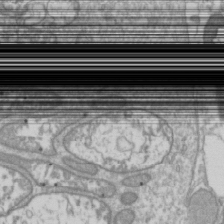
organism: Drosophila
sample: Cell division; meiosis; drosophila spermatocytes